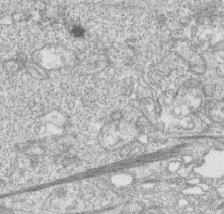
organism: Human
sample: HeLa cell HIV synapse